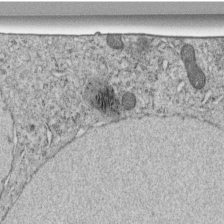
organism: C. elegans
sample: C. elegans embryo early stage